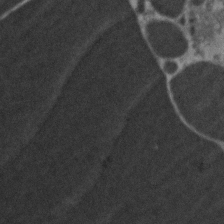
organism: Zebrafish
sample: Zebrafish embryo